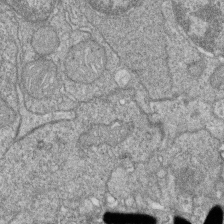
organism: Zebrafish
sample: Cilia; retinal pigment epithelium